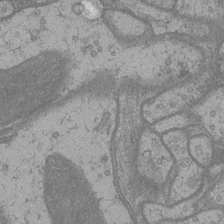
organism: Drosophila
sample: Optic medulla